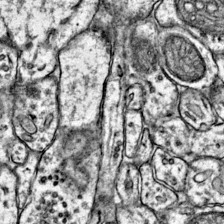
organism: Mouse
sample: Primary visual cortex